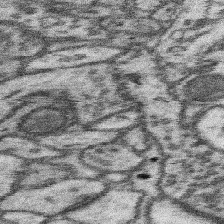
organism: Mouse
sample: Somatosensory cortex neuropil